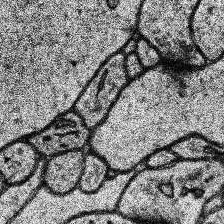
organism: Human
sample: Temporal Lobe